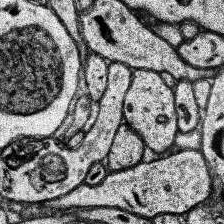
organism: Human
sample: Temporal Lobe